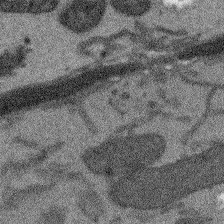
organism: Arabidopsis thaliana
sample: Root tip